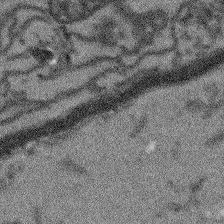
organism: Arabidopsis thaliana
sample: Root tip